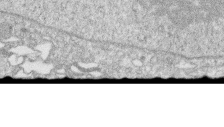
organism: Human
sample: HeLa cell HIV synapse